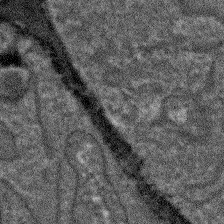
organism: Arabidopsis thaliana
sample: Root tip